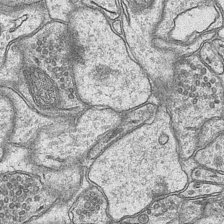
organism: Mouse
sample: CA1 Hippocampus